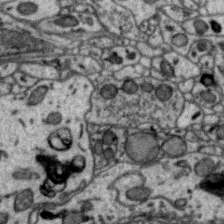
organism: Zebra finch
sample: Brain